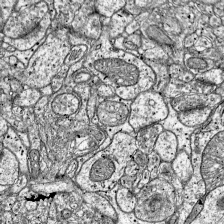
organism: Mouse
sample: Visual Cortex